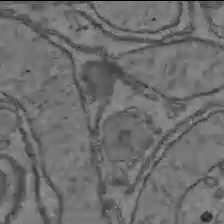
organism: C57BL Mouse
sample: Liver